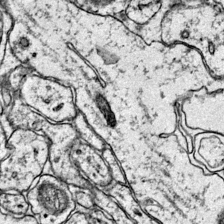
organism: Mouse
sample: Primary visual cortex